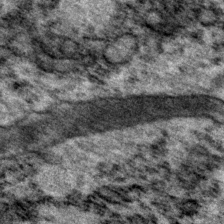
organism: P. pacificus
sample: Pharynx